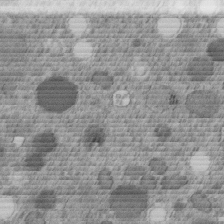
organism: C. elegans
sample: C. elegans embryo early stage